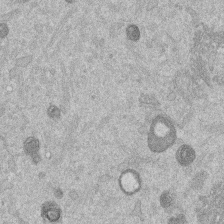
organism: Mouse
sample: Dividing mouse embryo 1 cell stage